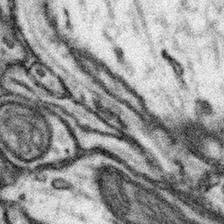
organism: Mouse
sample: Somatosensory cortex neuropil